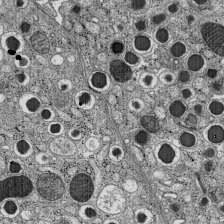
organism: C57BL Mouse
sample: Pancreatic islet